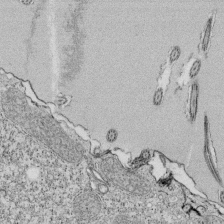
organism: Tetrahymena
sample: Cilia in tetrahymena